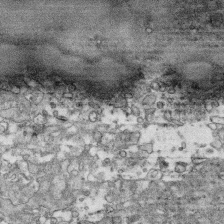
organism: Human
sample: CRL-1474